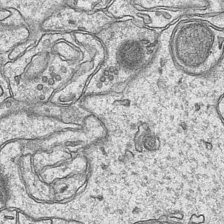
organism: Mouse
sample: CA1 Hippocampus